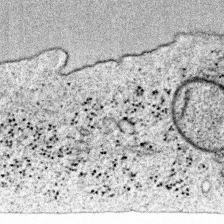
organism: Human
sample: HeLa cells